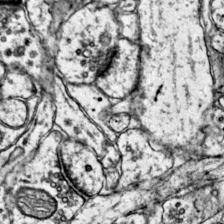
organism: Mouse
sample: Primary visual cortex